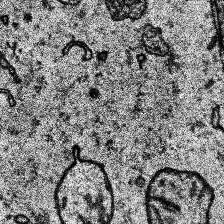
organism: Human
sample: Temporal Lobe